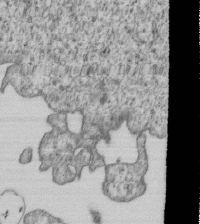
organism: Human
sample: MDA-MB-231 cells